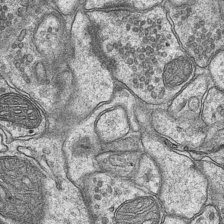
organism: Mouse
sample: CA1 Hippocampus